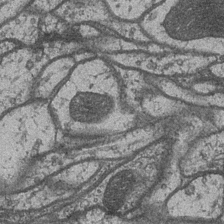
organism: Drosophila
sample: Optic medulla